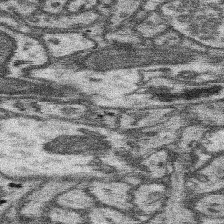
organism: Mouse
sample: Somatosensory cortex neuropil